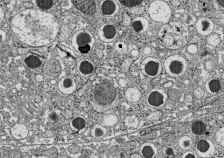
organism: C57BL Mouse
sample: Pancreatic islet